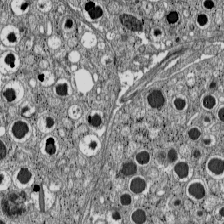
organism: C57BL Mouse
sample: Pancreatic islet